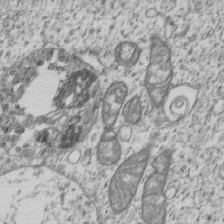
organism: Human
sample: MDA-MB-231 cells